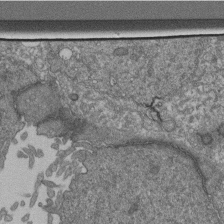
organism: Human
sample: Retinal organoid Rod and Cone cells